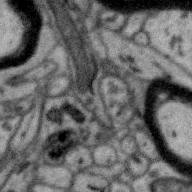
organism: Zebra finch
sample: Brain